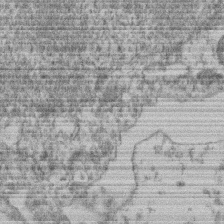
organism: Mouse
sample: T cell stromal cell synapse